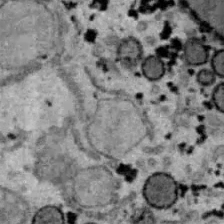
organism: Mouse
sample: Liver from an obese (ob/ob) mouse